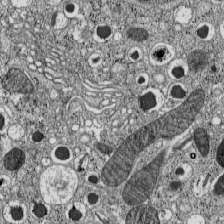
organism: C57BL Mouse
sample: Pancreatic islet